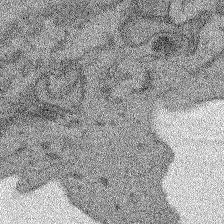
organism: Human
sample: HeLa cells